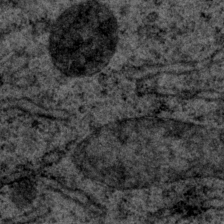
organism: P. pacificus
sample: Pharynx